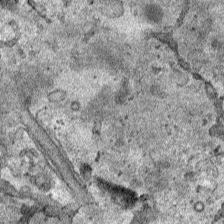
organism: Human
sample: Mitochondria in HCT116 cells